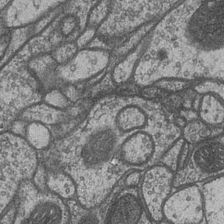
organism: Drosophila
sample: Optic medulla